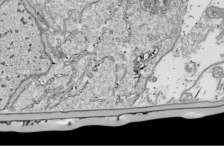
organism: Drosophila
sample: Cell division; meiosis; drosophila spermatocytes